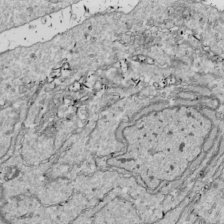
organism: Drosophila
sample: Cell division; meiosis; drosophila spermatocytes